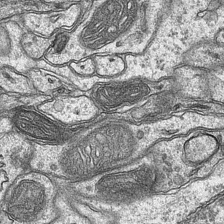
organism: Mouse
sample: CA1 Hippocampus